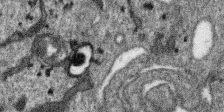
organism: Human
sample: Lung epithelial cells infected with SARS-CoV-2